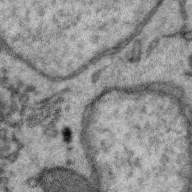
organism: Zebra finch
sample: Brain